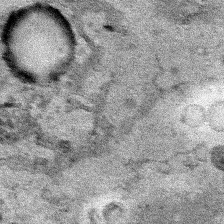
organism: Human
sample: Mitochondria in HCT116 cells